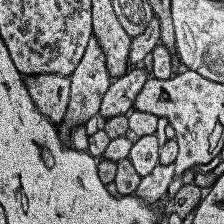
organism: Human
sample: Temporal Lobe